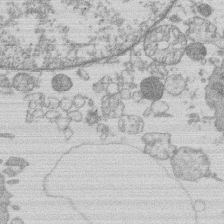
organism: Human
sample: Macrophage cells